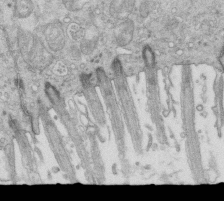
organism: Mouse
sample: Multiciliated cells